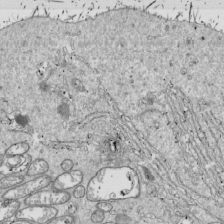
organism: Drosophila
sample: Cell division; meiosis; drosophila spermatocytes